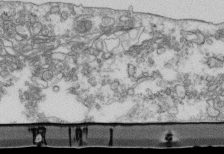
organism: Mouse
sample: Cilia; retinal pigment epithelium